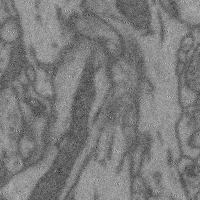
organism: Mouse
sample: Cerebral cortex